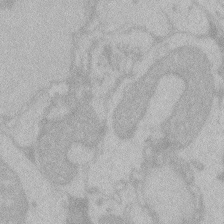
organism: Zebrafish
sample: Macrophage infected with Toxoplasma gondii